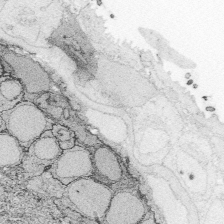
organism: Zebrafish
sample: Whole-Brain